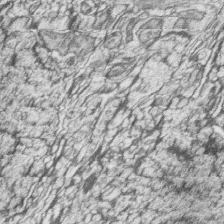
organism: Zebrafish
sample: synaptic ribbons in rod cells and cone cells